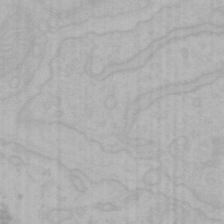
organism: Mouse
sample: Choroid plexus